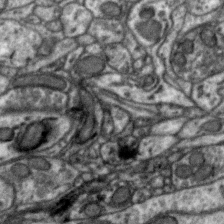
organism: Zebra finch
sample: Brain